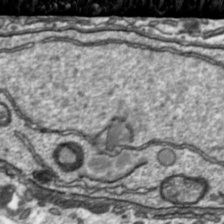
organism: Toxoplasma gondii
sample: Parasites in a vacuole inside a host cell